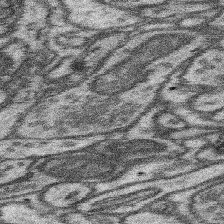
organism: Mouse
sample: Somatosensory cortex neuropil